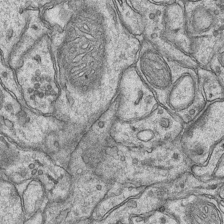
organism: Mouse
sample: CA1 Hippocampus